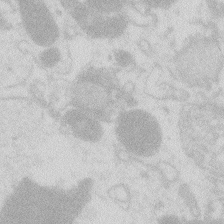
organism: Zebrafish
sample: Macrophage